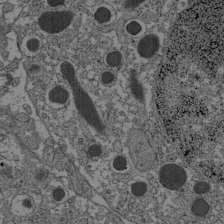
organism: C57BL Mouse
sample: Pancreatic islet